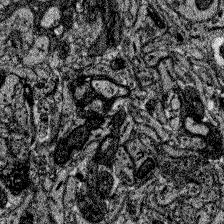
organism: Zebrafish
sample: Larval olfactory bulb